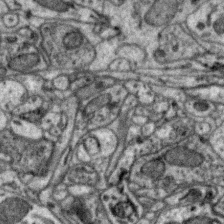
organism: Zebra finch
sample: Brain